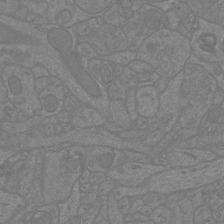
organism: Mouse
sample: Cortical neurons